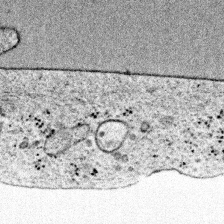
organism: Human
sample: HeLa cells